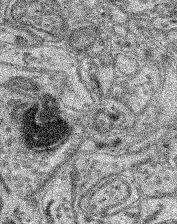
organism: Mouse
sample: Retina